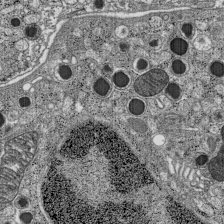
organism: C57BL Mouse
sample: Pancreatic islet